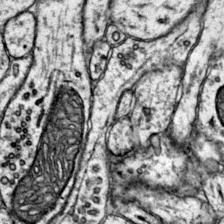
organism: Mouse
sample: Primary visual cortex